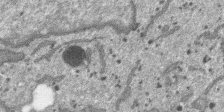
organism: Human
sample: Lung epithelial cells infected with SARS-CoV-2